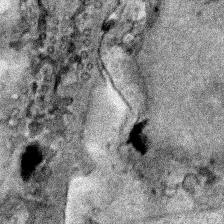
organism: Human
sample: Mitochondria in HCT116 cells